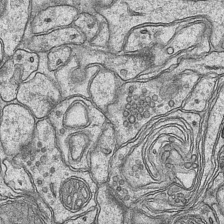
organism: Mouse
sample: CA1 Hippocampus